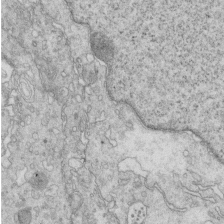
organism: Mouse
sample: Multiciliated cells